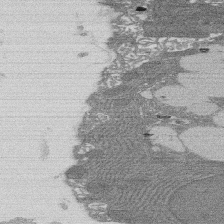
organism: Rat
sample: Salivary granule